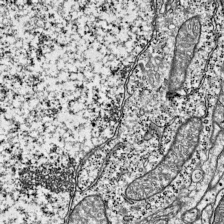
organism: Mouse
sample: Visual Cortex